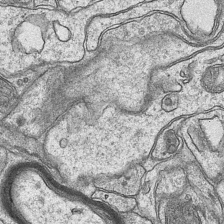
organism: Mouse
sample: CA1 Hippocampus